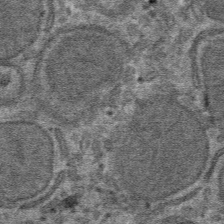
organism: Mouse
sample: Mouse hepatocytes